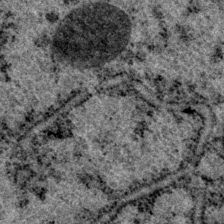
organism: P. pacificus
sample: Pharynx